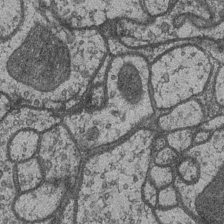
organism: Drosophila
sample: Optic medulla